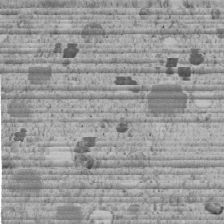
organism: C. elegans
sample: C. elegans embryo early stage